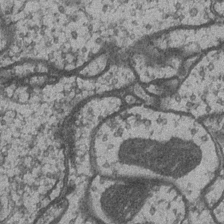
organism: Drosophila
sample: Optic medulla